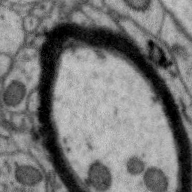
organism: Zebra finch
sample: Brain